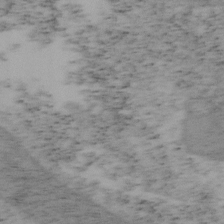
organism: Mouse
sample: OT-I killer T cells with ID8 ovarian cancer cells